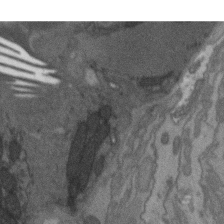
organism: C. elegans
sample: AFD neurons C. elegans